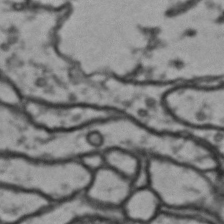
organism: Drosophila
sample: Brain